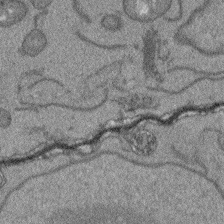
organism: Arabidopsis thaliana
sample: Root tip